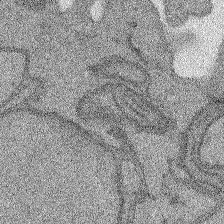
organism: Human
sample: HeLa cells